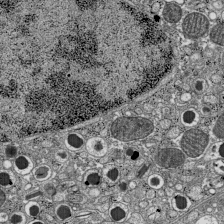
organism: C57BL Mouse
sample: Pancreatic islet